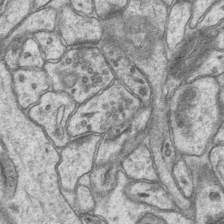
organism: Mouse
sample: CA1 Hippocampus